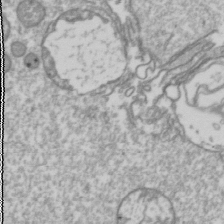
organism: Drosophila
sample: Cell division; meiosis; drosophila spermatocytes